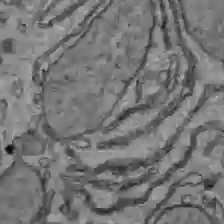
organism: C57BL Mouse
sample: Liver